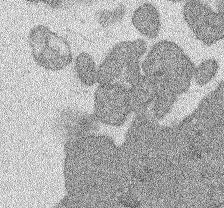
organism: Human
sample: HeLa cells